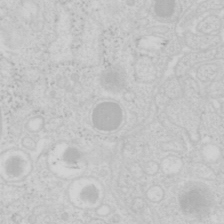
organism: Mouse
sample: Pancreas